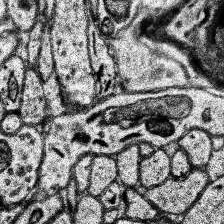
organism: Human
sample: Temporal Lobe